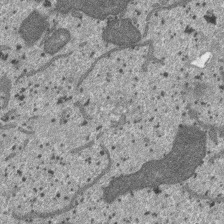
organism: Human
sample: Lung epithelial cells infected with SARS-CoV-2